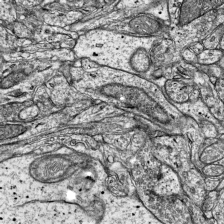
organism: Mouse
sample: Visual Cortex